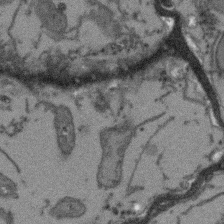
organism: Arabidopsis thaliana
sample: Root tip